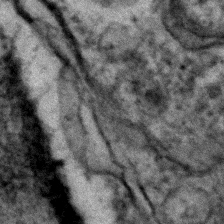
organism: C. elegans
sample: C. elegans embryo